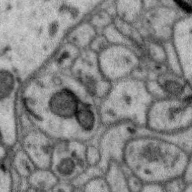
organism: Zebra finch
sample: Brain